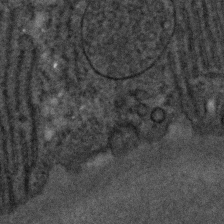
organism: C. elegans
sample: C. elegans embryo